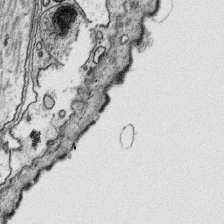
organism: Platynereis dumerilii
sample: Parapodia